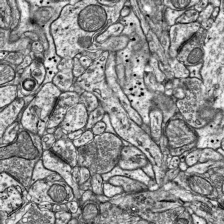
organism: Mouse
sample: Visual Cortex